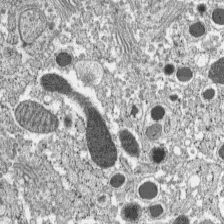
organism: C57BL Mouse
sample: Pancreatic islet